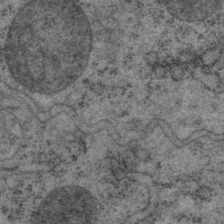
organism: P. pacificus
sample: Pharynx